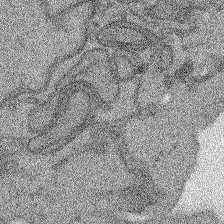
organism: Human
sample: HeLa cells